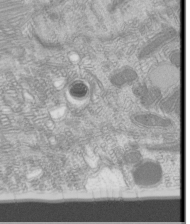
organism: Mouse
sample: Cilia; mouse epididymis